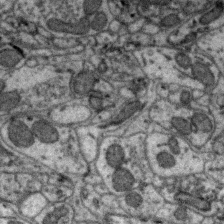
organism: Zebra finch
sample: Brain